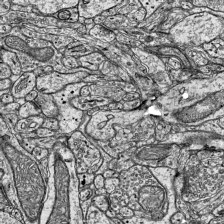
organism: Mouse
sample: Visual Cortex